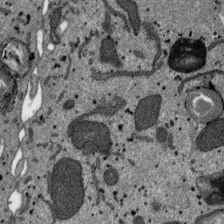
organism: Human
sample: Lung epithelial cells, uninfected (mock) control